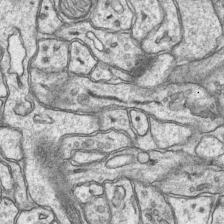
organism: Mouse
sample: CA1 Hippocampus